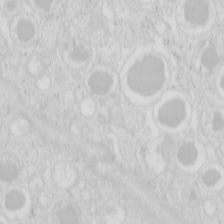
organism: Mouse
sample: Pancreas